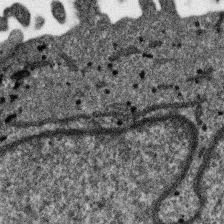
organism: Human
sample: Lung epithelial cells infected with SARS-CoV-2